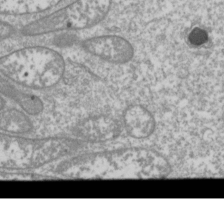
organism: Drosophila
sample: Cell division; meiosis; drosophila spermatocytes